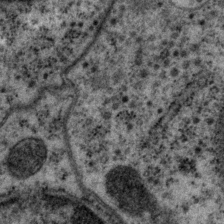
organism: P. pacificus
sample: Pharynx